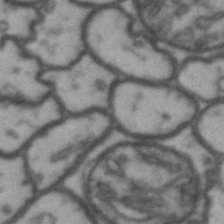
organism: Drosophila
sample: Brain